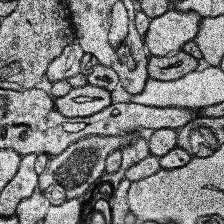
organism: Human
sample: Temporal Lobe